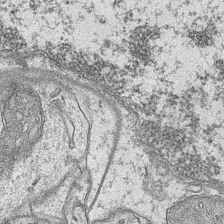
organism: Mouse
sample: CA1 Hippocampus